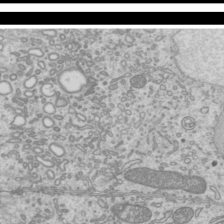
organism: Mouse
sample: Cilia; mouse epididymis